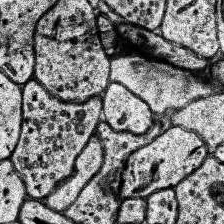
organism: Human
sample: Temporal Lobe